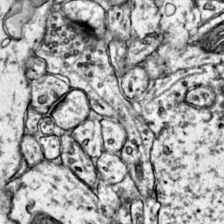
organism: Mouse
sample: Primary visual cortex